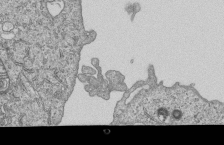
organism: Human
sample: MDA-MB-231 cells